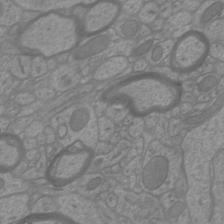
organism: Mouse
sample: Cortical neurons